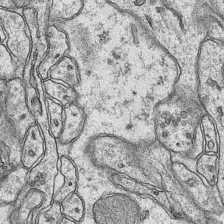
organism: Mouse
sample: CA1 Hippocampus